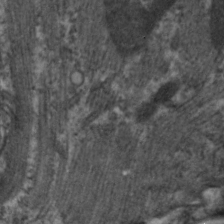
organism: C. elegans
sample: Pharynx